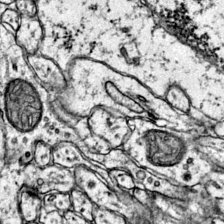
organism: Mouse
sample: Primary visual cortex